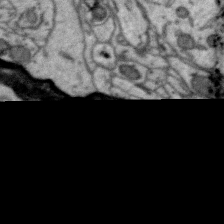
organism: Zebra finch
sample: Brain